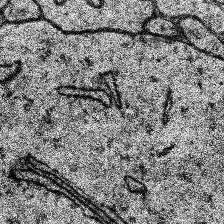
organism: Human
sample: Temporal Lobe